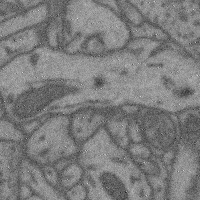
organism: Mouse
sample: Cerebral cortex